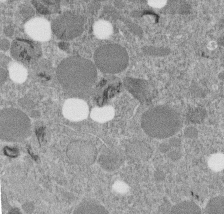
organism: C. elegans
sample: C. elegans embryo early stage